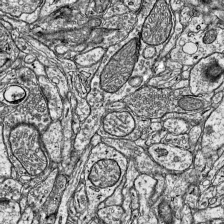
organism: Mouse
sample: Visual Cortex